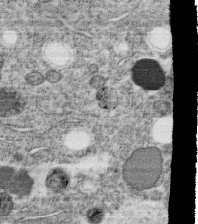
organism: C. elegans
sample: C. elegans oocyte; sperm cells